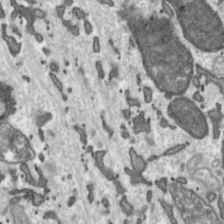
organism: Toxoplasma gondii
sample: Parasites in a vacuole inside a host cell